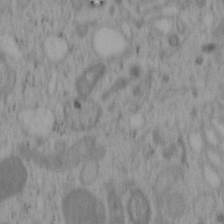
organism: Mouse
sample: OT-I killer T cells with ID8 ovarian cancer cells